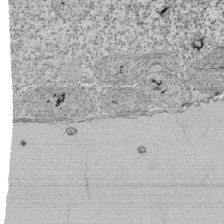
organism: Tetrahymena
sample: Cilia in tetrahymena